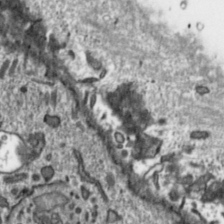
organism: Toxoplasma gondii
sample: Parasites in a vacuole inside a host cell